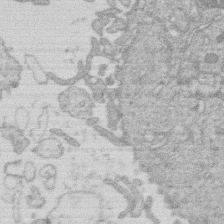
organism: Human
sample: Macrophage cells